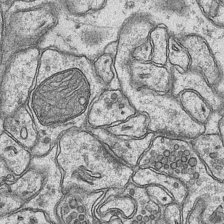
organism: Mouse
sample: CA1 Hippocampus